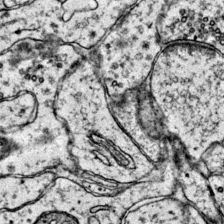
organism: Mouse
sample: Primary visual cortex